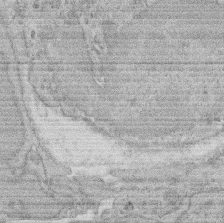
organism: Rat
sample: Salivary granule